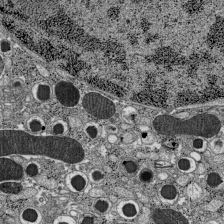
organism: C57BL Mouse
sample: Pancreatic islet